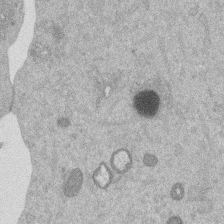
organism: Mouse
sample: Dividing mouse embryo 1 cell stage